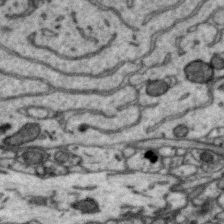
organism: Zebra finch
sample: Brain